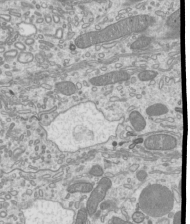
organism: Mouse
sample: Cilia; mouse epididymis